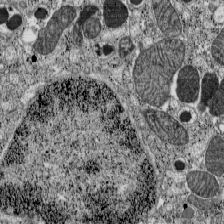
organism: C57BL Mouse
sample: Pancreatic islet